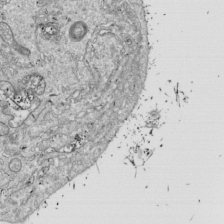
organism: Drosophila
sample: Cell division; meiosis; drosophila spermatocytes